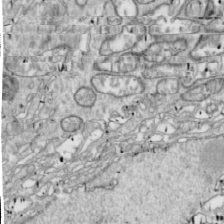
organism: Drosophila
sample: Cell division; meiosis; drosophila spermatocytes